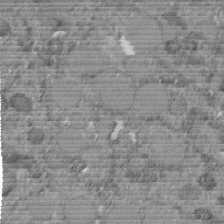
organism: C. elegans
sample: C. elegans embryo early stage